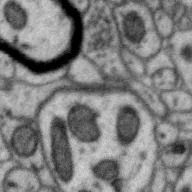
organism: Zebra finch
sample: Brain